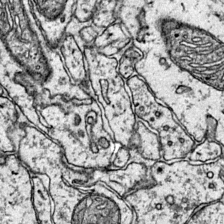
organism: Mouse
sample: Primary visual cortex